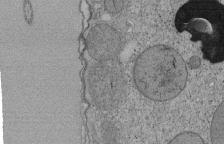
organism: Tetrahymena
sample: Cilia in tetrahymena